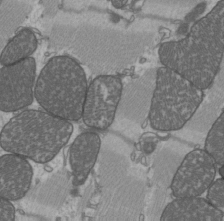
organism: C57BL Mouse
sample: Heart